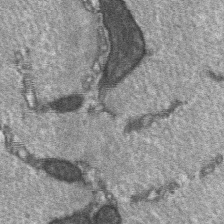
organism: C57BL Mouse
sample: Soleus